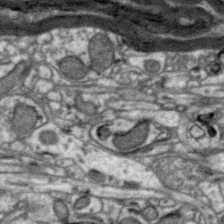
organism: Zebra finch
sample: Brain